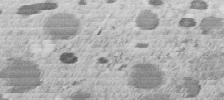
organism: C. elegans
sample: C. elegans embryo early stage